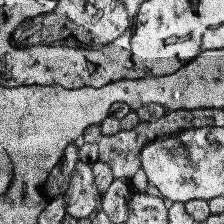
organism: Human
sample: Temporal Lobe